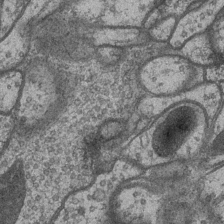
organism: Drosophila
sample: Optic medulla